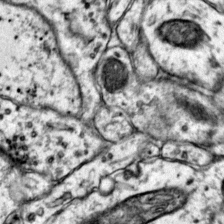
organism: Mouse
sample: Primary visual cortex